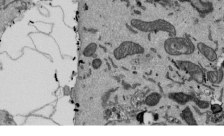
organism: Mouse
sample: ED-1 cell nuclei; centrioles